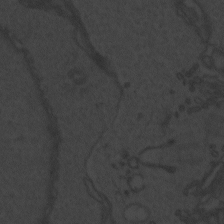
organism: Zebrafish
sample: Macrophage infected with Toxoplasma gondii